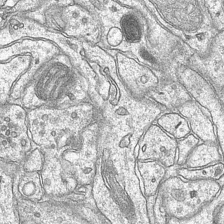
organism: Mouse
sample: CA1 Hippocampus